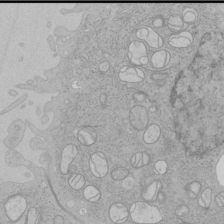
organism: Human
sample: Mitochondria in HCT116 cells